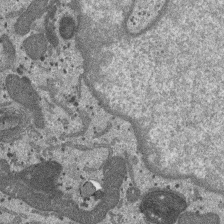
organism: Human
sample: Lung epithelial cells infected with SARS-CoV-2